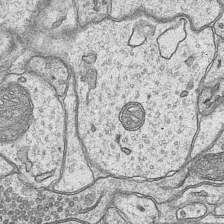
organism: Mouse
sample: CA1 Hippocampus